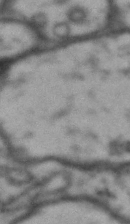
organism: Drosophila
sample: Brain